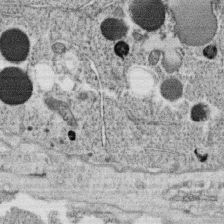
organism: C. elegans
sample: C. elegans oocyte; sperm cells